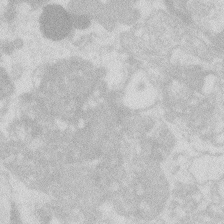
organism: Zebrafish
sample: Macrophage